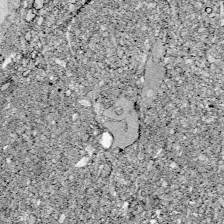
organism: Zebrafish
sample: Whole-Brain